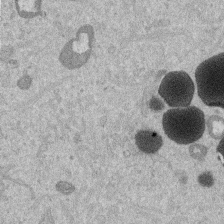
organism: Mouse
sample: Dividing mouse embryo 1 cell stage